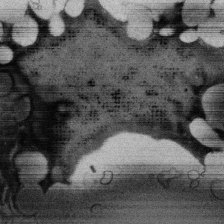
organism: Rat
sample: Salivary granule